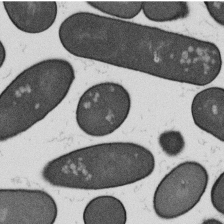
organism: B. subtilis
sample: Bacterial spore